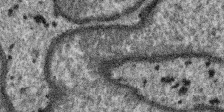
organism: Human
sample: Lung epithelial cells infected with SARS-CoV-2